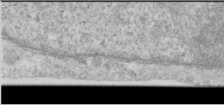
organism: Human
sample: Cilia; basal body in RPE cells